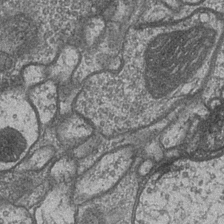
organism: Drosophila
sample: Optic medulla